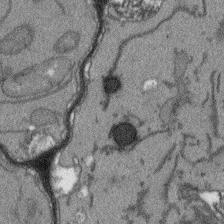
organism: Arabidopsis thaliana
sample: Root tip